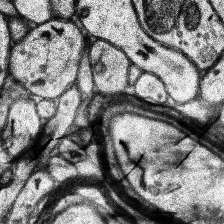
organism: Human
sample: Temporal Lobe